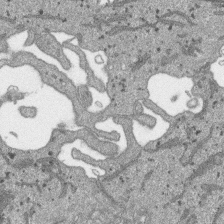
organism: Human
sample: Lung epithelial cells infected with SARS-CoV-2